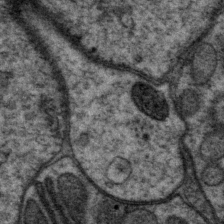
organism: P. pacificus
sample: Pharynx